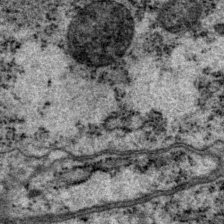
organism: P. pacificus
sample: Pharynx